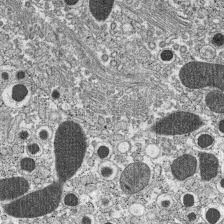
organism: C57BL Mouse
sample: Pancreatic islet